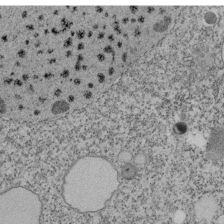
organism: Tetrahymena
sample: Cilia in tetrahymena